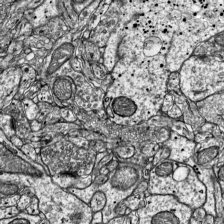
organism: Mouse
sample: Visual Cortex